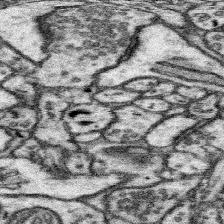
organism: Mouse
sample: Somatosensory cortex neuropil